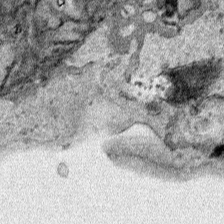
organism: Human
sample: Mitochondria in HCT116 cells